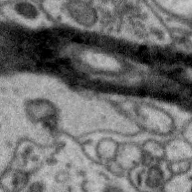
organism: Zebra finch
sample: Brain